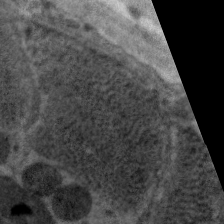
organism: C. elegans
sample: Pharynx